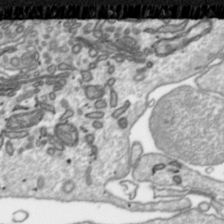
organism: Toxoplasma gondii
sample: Parasites in a vacuole inside a host cell